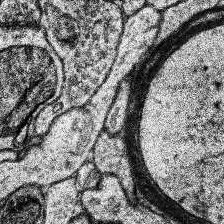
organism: Human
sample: Temporal Lobe